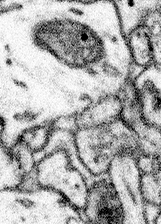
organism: Mouse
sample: Somatosensory cortex neuropil